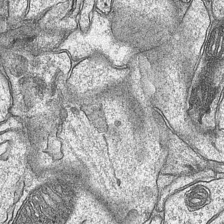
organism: Mouse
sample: CA1 Hippocampus